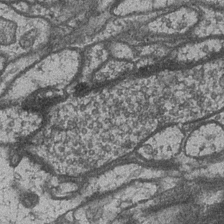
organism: Drosophila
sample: Optic medulla